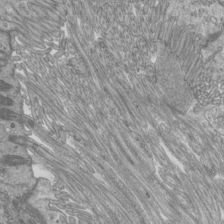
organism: Mouse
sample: Cilia; mouse epididymis